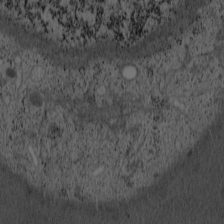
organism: African green monkey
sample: COS-7 cells